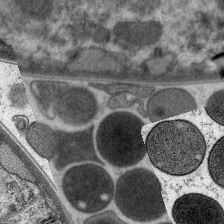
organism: C. elegans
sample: Pharynx